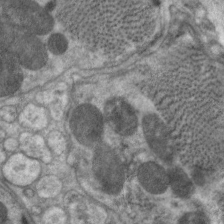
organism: C. elegans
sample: Pharynx